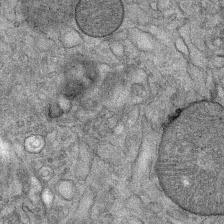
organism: Mouse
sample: Mouse Salivary gland